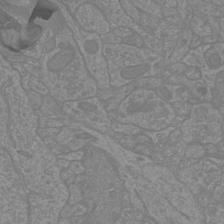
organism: Mouse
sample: Cortical neurons